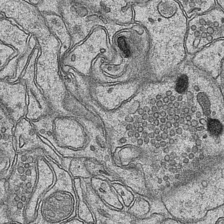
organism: Mouse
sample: CA1 Hippocampus